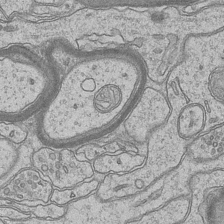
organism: Mouse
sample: CA1 Hippocampus